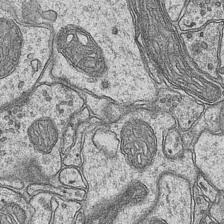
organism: Mouse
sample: CA1 Hippocampus